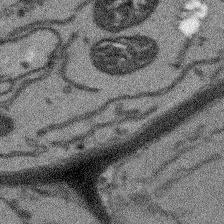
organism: Arabidopsis thaliana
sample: Root tip